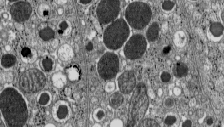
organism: C57BL Mouse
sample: Pancreatic islet